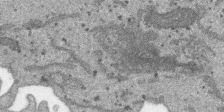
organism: Human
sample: Lung epithelial cells infected with SARS-CoV-2